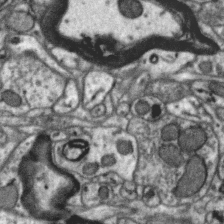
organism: Zebra finch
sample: Brain